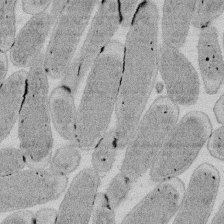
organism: E. coli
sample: Bacterial nucleoid